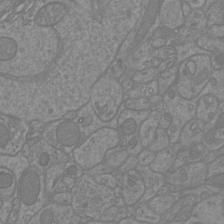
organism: Mouse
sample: Cortical neurons